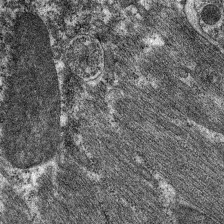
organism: C. elegans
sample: Pharynx